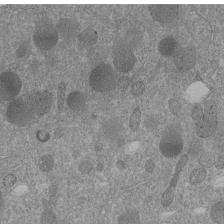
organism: C. elegans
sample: C. elegans embryo early stage